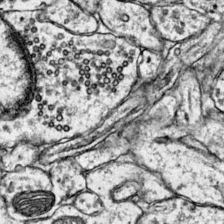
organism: Mouse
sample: Primary visual cortex